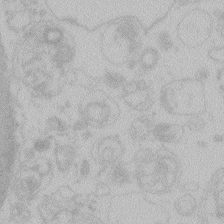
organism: Zebrafish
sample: Macrophage infected with Toxoplasma gondii